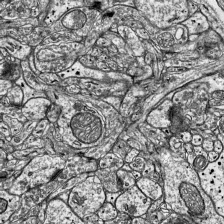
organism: Mouse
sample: Visual Cortex